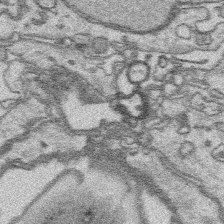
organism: Platynereis dumerilii